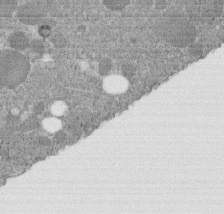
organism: C. elegans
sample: C. elegans embryo early stage